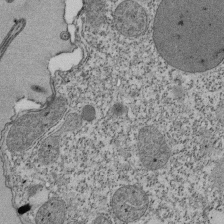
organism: Tetrahymena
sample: Cilia in tetrahymena